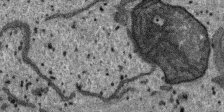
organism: Human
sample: Lung epithelial cells, uninfected (mock) control